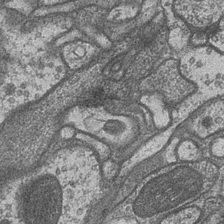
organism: Drosophila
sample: Optic medulla